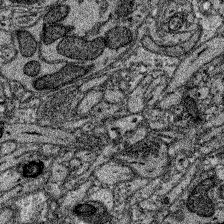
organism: Zebrafish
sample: Larval olfactory bulb